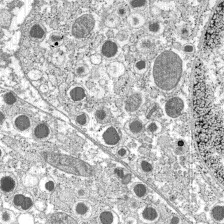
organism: C57BL Mouse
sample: Pancreatic islet